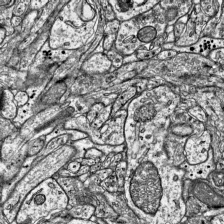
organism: Mouse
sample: Visual Cortex